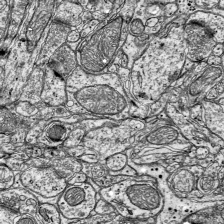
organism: Mouse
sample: Visual Cortex